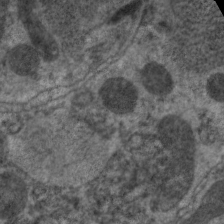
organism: C. elegans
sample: Pharynx